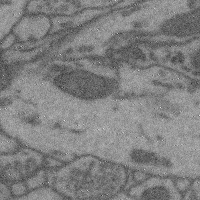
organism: Mouse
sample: Cerebral cortex